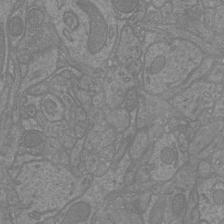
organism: Mouse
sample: Cortical neurons